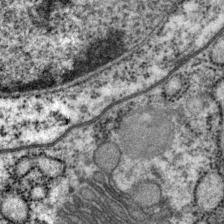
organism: P. pacificus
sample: Pharynx